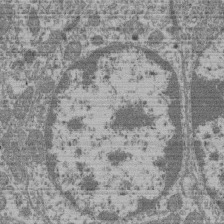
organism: Mouse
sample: Glomerulus